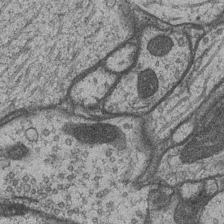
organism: Drosophila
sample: Optic medulla